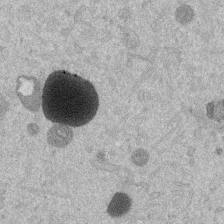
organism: Mouse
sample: Dividing mouse embryo 1 cell stage